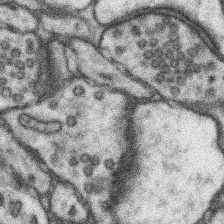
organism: Mouse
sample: Somatosensory cortex neuropil